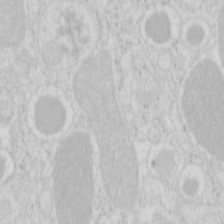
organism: Mouse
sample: Pancreas